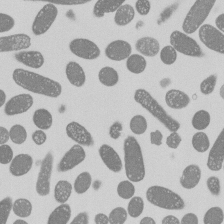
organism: E. coli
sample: Bacterial nucleoid